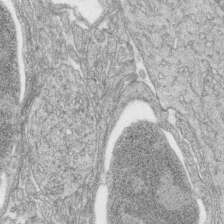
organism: Zebrafish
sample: synaptic ribbons in rod cells and cone cells